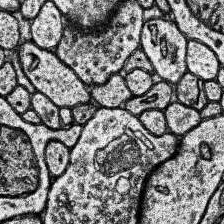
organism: Human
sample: Temporal Lobe